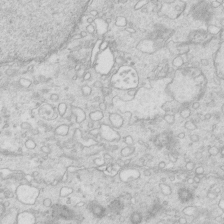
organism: Mouse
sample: Multiciliated cells